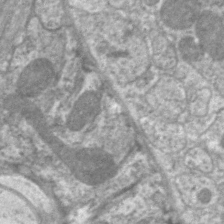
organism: C. elegans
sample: Pharynx